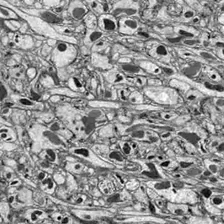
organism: Drosophila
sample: Optic lobe